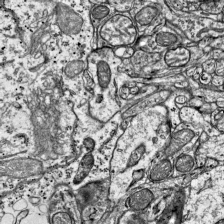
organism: Mouse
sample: Visual Cortex